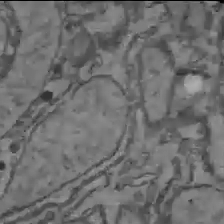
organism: C57BL Mouse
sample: Liver